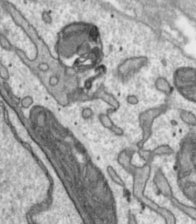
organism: Toxoplasma gondii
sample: Parasites in a vacuole inside a host cell